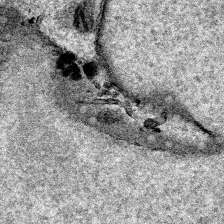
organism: Human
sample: Mitochondria in HCT116 cells